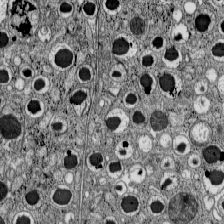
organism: C57BL Mouse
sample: Pancreatic islet